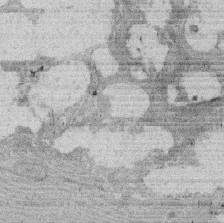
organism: Rat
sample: Salivary granule